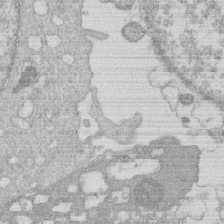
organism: Human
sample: Macrophage cells